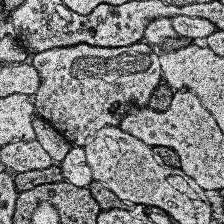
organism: Human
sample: Temporal Lobe